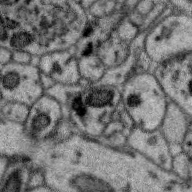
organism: Zebra finch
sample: Brain